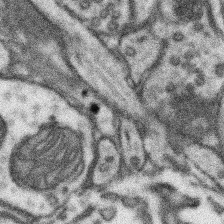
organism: Mouse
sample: Somatosensory cortex neuropil